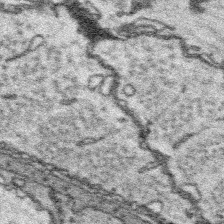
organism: Platynereis dumerilii